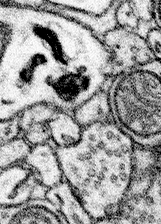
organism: Mouse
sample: Somatosensory cortex neuropil